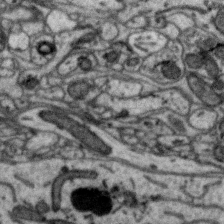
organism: Zebra finch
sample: Brain